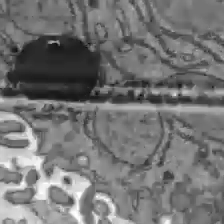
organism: C57BL Mouse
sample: Liver